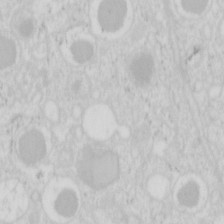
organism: Mouse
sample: Pancreas